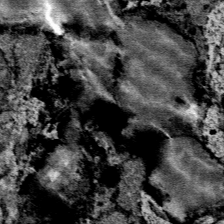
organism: Mouse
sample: Mouse Salivary gland